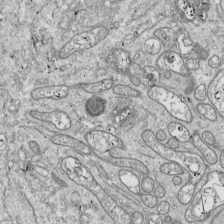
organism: Drosophila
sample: Cell division; meiosis; drosophila spermatocytes